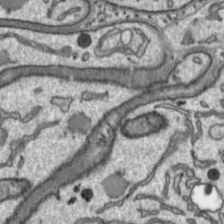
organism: Toxoplasma gondii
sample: Parasites in a vacuole inside a host cell